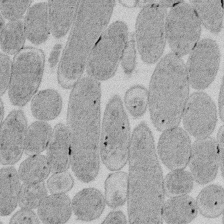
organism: E. coli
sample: Bacterial nucleoid